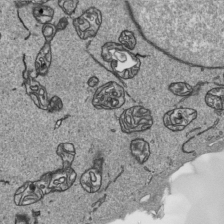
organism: Human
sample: Mitochondria in HCT116 cells